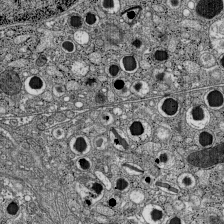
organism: C57BL Mouse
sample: Pancreatic islet